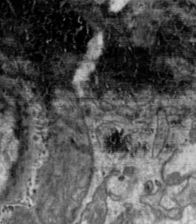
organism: Toxoplasma gondii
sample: Parasites in a vacuole inside a host cell